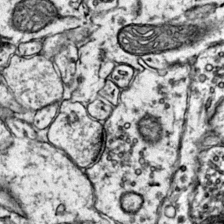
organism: Mouse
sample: Primary visual cortex